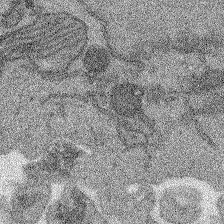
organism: Human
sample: HeLa cells